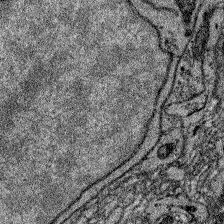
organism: Zebrafish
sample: Larval olfactory bulb